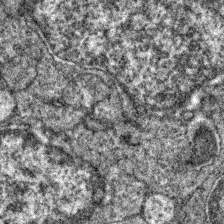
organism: Zebrafish